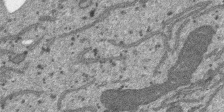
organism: Human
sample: Lung epithelial cells infected with SARS-CoV-2